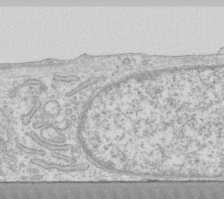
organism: Human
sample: Fibroblast cells